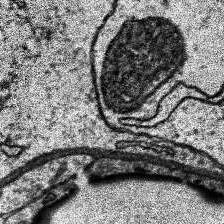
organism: Human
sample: Temporal Lobe